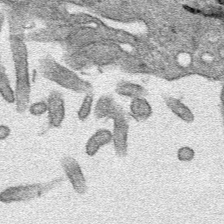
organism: Human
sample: Mitochondria in HCT116 cells